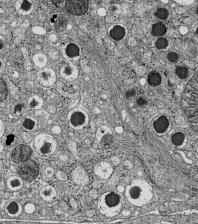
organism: C57BL Mouse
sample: Pancreatic islet